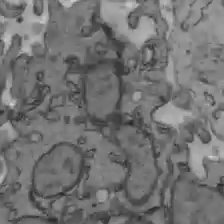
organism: C57BL Mouse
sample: Liver